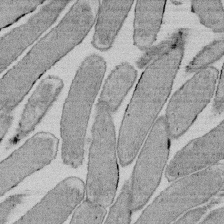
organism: E. coli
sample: Bacterial nucleoid